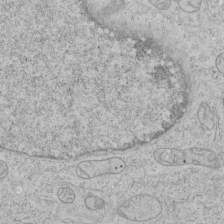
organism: Human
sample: Mitochondria in HCT116 cells